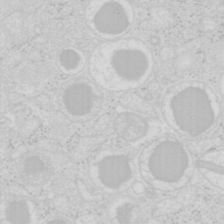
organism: Mouse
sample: Pancreas